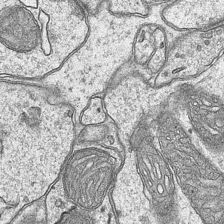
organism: Mouse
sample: CA1 Hippocampus